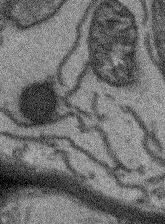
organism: Arabidopsis thaliana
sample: Root tip